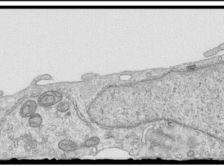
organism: Human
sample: Centriole in RPE cells